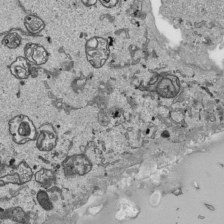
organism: Human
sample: Mitochondria in HCT116 cells